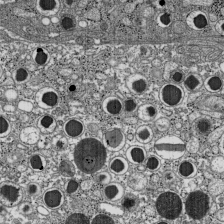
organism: C57BL Mouse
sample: Pancreatic islet